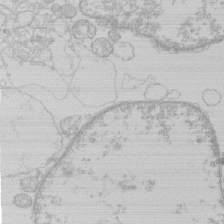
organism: Human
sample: Macrophage cells